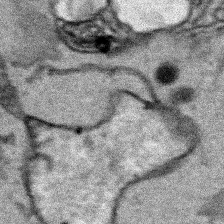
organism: Human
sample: Mitochondria in HCT116 cells